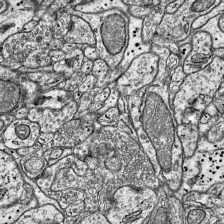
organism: Mouse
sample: Visual Cortex